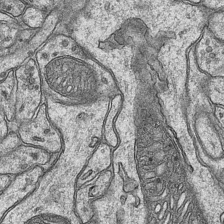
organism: Mouse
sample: CA1 Hippocampus